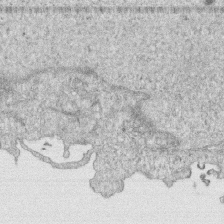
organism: Human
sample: HeLa cell HIV synapse